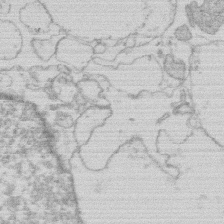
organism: Human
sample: Macrophage cells